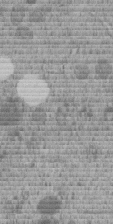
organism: C. elegans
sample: C. elegans embryo early stage